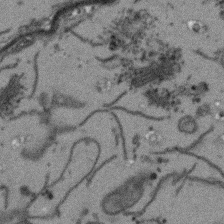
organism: Arabidopsis thaliana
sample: Root tip